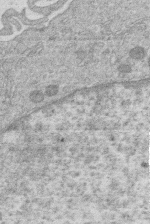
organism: Human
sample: Macrophage cells